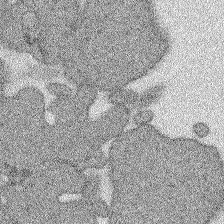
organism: Human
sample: HeLa cells